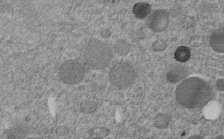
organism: C. elegans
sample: C. elegans embryo early stage